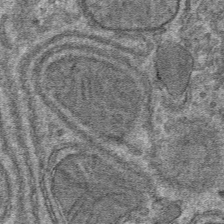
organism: Mouse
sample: Mouse hepatocytes